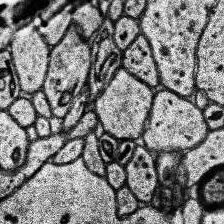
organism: Human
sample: Temporal Lobe